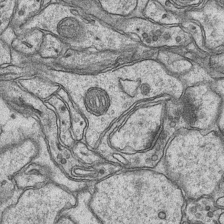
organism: Mouse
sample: CA1 Hippocampus